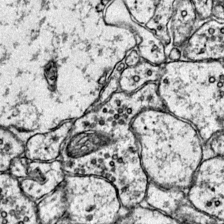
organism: Mouse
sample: Primary visual cortex